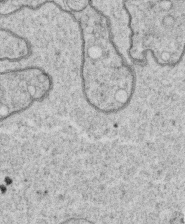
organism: C. elegans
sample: C. elegans oocyte; sperm cells